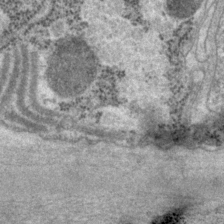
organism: P. pacificus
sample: Pharynx